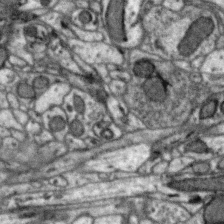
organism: Zebra finch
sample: Brain